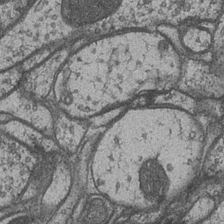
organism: Drosophila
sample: Optic medulla